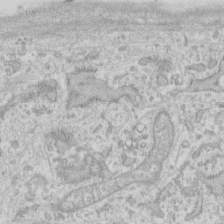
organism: Human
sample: Fibroblast cells